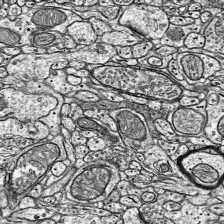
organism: Mouse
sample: Visual Cortex